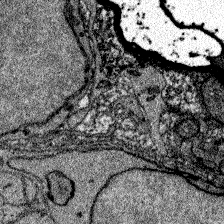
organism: Zebrafish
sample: Larval olfactory bulb